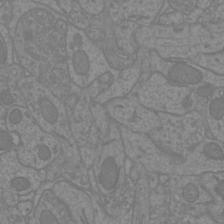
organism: Mouse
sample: Cortical neurons